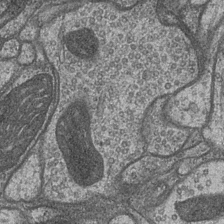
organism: Drosophila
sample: Optic medulla